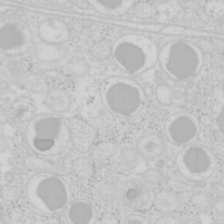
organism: Mouse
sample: Pancreas